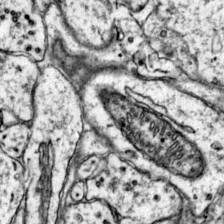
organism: Mouse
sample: Primary visual cortex